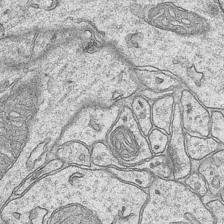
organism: Mouse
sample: CA1 Hippocampus